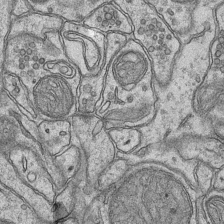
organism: Mouse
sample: CA1 Hippocampus